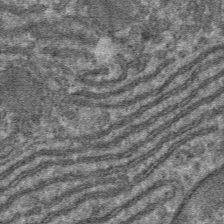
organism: Mouse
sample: Mouse hepatocytes